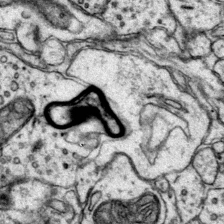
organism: Mouse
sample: Primary visual cortex